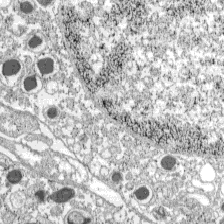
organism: C57BL Mouse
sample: Pancreatic islet